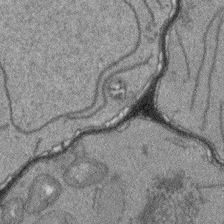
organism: Arabidopsis thaliana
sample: Root tip